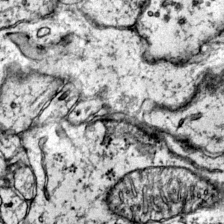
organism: Mouse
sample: Primary visual cortex